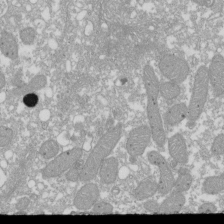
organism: Xenopus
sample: Cilia; centrioles in frog embryo cells